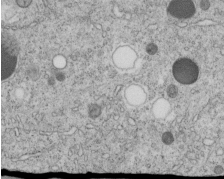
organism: C. elegans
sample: C. elegans embryo early stage